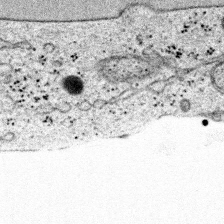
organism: Human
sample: HeLa cells